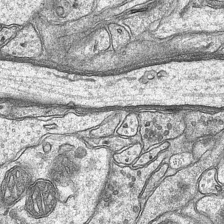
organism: Mouse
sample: CA1 Hippocampus